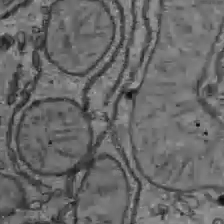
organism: C57BL Mouse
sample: Liver